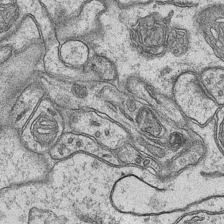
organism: Mouse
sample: CA1 Hippocampus